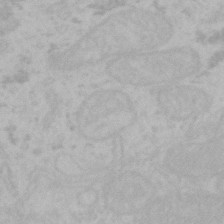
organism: Mouse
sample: Choroid plexus